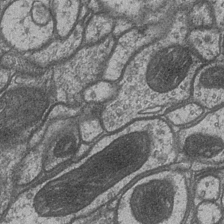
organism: Drosophila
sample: Optic medulla